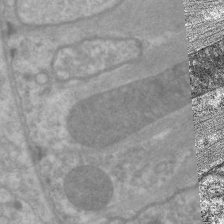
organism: C. elegans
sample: Pharynx